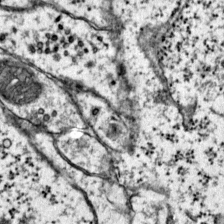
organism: Mouse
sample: Primary visual cortex